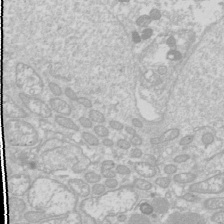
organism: Drosophila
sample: Cell division; meiosis; drosophila spermatocytes